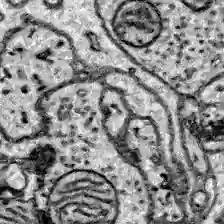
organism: Zebrafish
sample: Brain